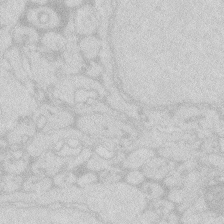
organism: Zebrafish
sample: Macrophage